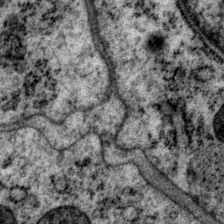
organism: P. pacificus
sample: Pharynx